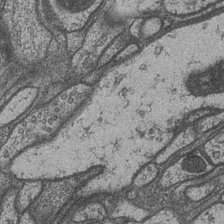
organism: Drosophila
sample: Optic medulla